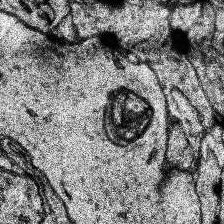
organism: Human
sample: Temporal Lobe